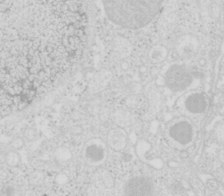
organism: Mouse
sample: Pancreas